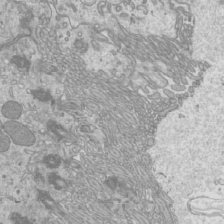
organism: Mouse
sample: Cilia; mouse epididymis